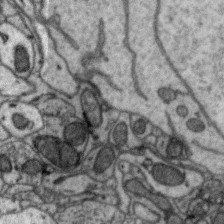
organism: Zebra finch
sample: Brain